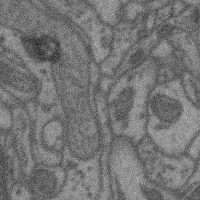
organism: Mouse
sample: Cerebral cortex